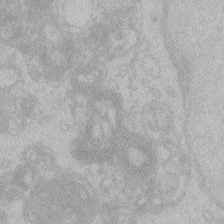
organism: Zebrafish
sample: Macrophage infected with Toxoplasma gondii